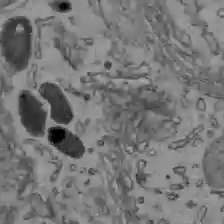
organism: C57BL Mouse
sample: Liver